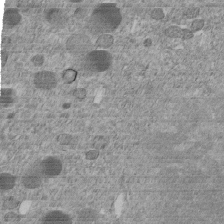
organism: C. elegans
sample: C. elegans embryo early stage